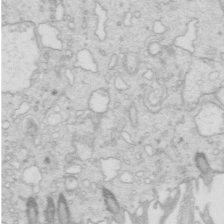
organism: Mouse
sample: Multiciliated cells